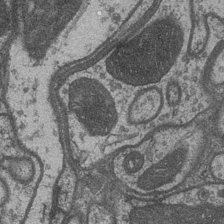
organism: Drosophila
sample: Optic medulla